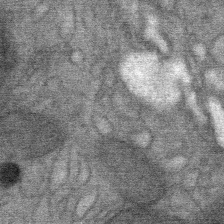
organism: Mouse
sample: Mouse Salivary gland